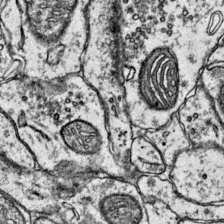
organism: Mouse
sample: Primary visual cortex